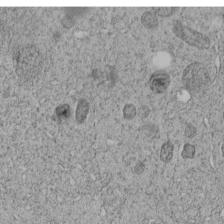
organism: C. elegans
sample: C. elegans embryo early stage